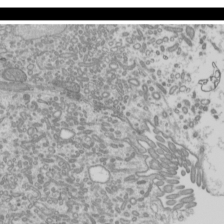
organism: Mouse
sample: Cilia; mouse epididymis